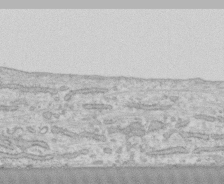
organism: Human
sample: CRL-1474